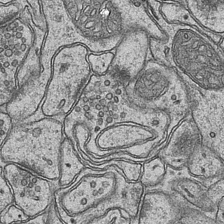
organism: Mouse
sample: CA1 Hippocampus